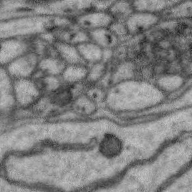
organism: Zebra finch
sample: Brain